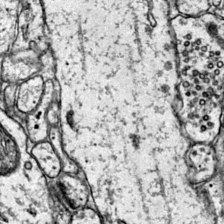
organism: Mouse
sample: Primary visual cortex